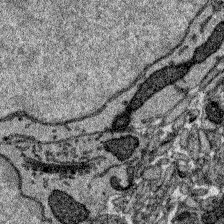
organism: Zebrafish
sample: Larval olfactory bulb